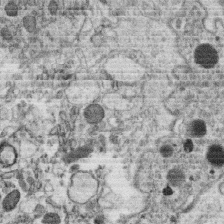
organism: C. elegans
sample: C. elegans oocyte; sperm cells